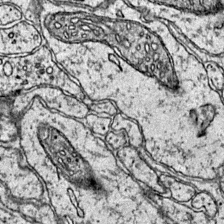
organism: Mouse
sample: Primary visual cortex